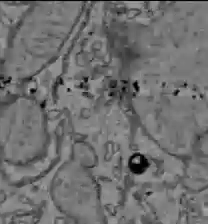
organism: C57BL Mouse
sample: Liver